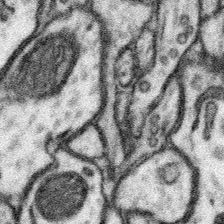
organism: Mouse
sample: Somatosensory cortex neuropil